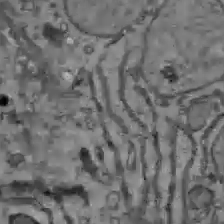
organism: C57BL Mouse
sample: Liver